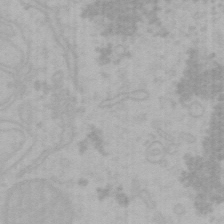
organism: Mouse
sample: Choroid plexus